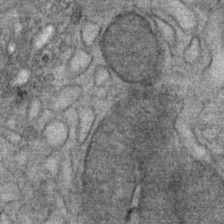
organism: Mouse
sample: Mouse Salivary gland